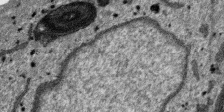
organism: Human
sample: Lung epithelial cells, uninfected (mock) control